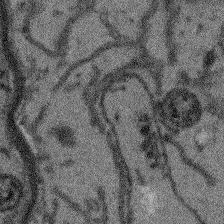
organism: Arabidopsis thaliana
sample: Root tip